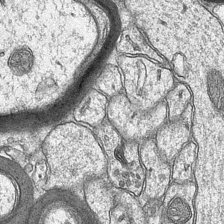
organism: Mouse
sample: CA1 Hippocampus